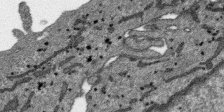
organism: Human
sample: Lung epithelial cells, uninfected (mock) control